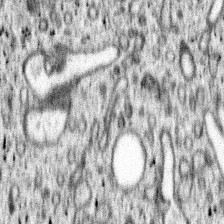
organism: Human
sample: HeLa cells